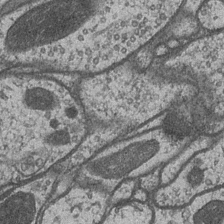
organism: Drosophila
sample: Optic medulla